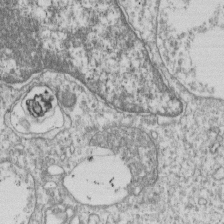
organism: Human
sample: MDA-MB-231 cells